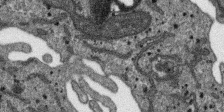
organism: Human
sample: Lung epithelial cells infected with SARS-CoV-2